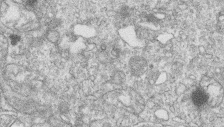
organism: Human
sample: HeLa cell HIV synapse